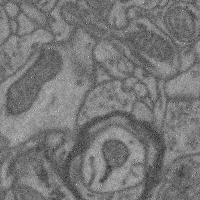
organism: Mouse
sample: Cerebral cortex